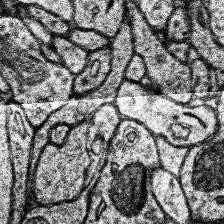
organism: Human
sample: Temporal Lobe